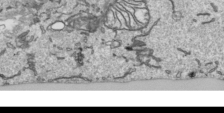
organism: Human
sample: Mitochondria in HCT116 cells